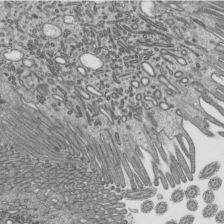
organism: Mouse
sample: Mouse epididymis efferent ductule cilia